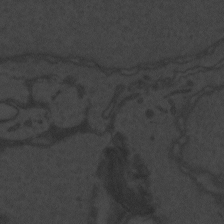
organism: Zebrafish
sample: Macrophage infected with Toxoplasma gondii